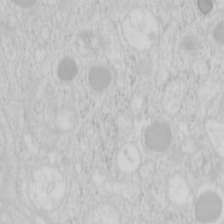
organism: Mouse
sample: Pancreas